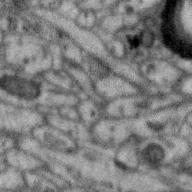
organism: Zebra finch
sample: Brain